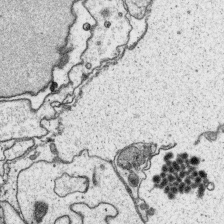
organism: Platynereis dumerilii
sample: Parapodia